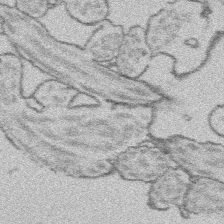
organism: Platynereis dumerilii